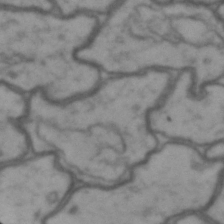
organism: Drosophila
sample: Brain